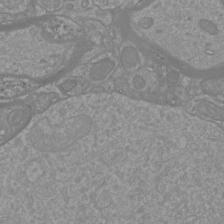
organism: Mouse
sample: Cortical neurons